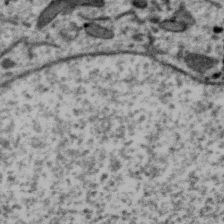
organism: Zebra finch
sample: Brain